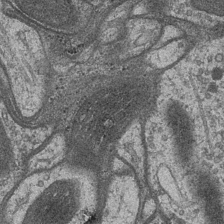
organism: Drosophila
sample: Optic medulla